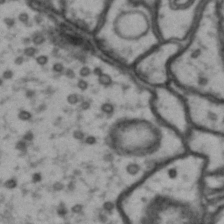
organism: Drosophila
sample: Brain